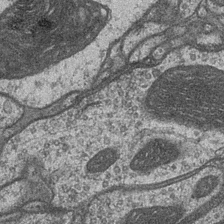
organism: Drosophila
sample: Optic medulla